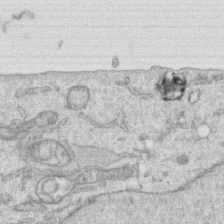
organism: Human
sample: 1205lu cells